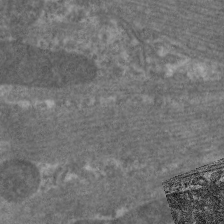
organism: C. elegans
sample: Pharynx